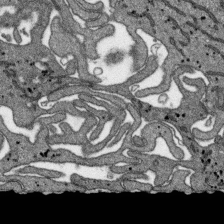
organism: Human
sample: Lung epithelial cells, uninfected (mock) control